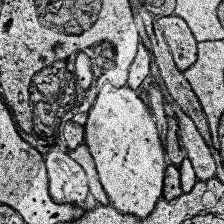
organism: Human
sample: Temporal Lobe